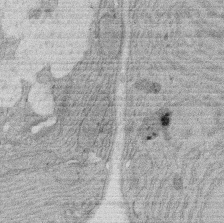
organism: Rat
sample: Salivary granule